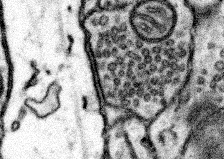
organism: Mouse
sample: Somatosensory cortex neuropil